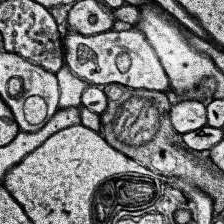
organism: Human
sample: Temporal Lobe